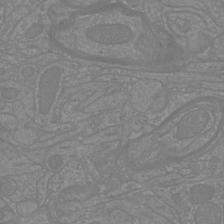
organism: Mouse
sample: Cortical neurons